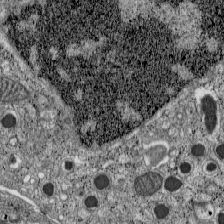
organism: C57BL Mouse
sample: Pancreatic islet